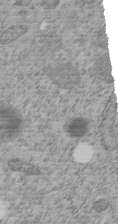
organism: C. elegans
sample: C. elegans embryo early stage